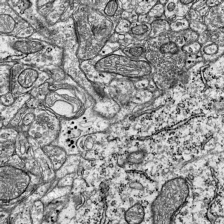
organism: Mouse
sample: Visual Cortex